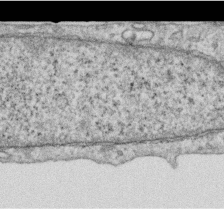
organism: Human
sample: Centriole in RPE cells